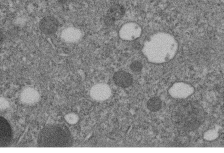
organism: C. elegans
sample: C. elegans embryo early stage